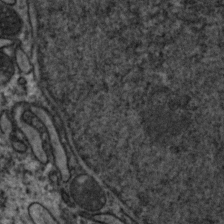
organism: Zebrafish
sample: Zebrafish embryo